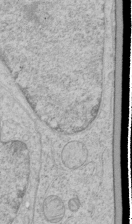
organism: Human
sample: Mitochondria in HCT116 cells